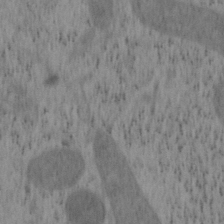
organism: Mouse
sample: OT-I killer T cells with ID8 ovarian cancer cells